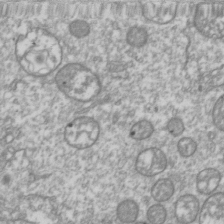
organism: Drosophila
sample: Cell division; meiosis; drosophila spermatocytes